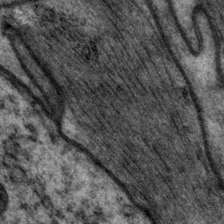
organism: P. pacificus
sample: Pharynx